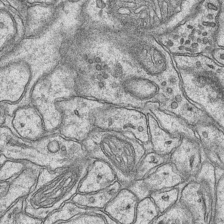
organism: Mouse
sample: CA1 Hippocampus